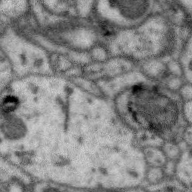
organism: Zebra finch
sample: Brain